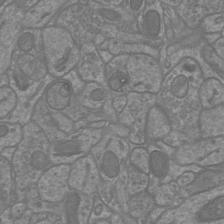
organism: Mouse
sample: Cortical neurons